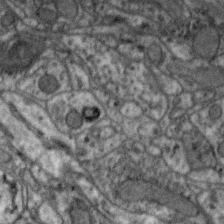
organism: Zebra finch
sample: Brain